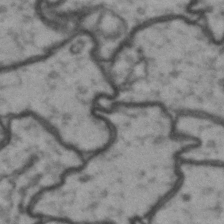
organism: Drosophila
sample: Brain